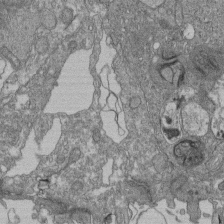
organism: Human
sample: Retinal organoid Rod and Cone cells